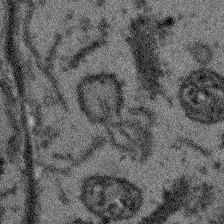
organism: Arabidopsis thaliana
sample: Root tip